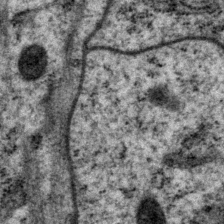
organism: P. pacificus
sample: Pharynx